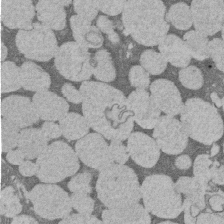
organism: Rat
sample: Salivary granule